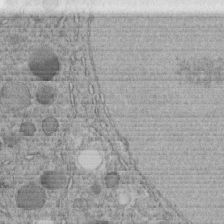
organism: C. elegans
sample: C. elegans embryo early stage